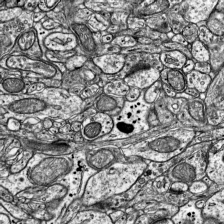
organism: Mouse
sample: Visual Cortex